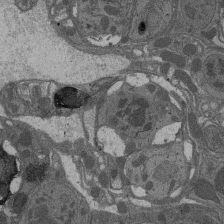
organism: Drosophila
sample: Antenna